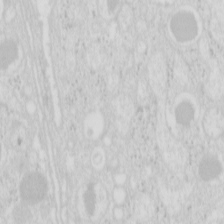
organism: Mouse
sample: Pancreas